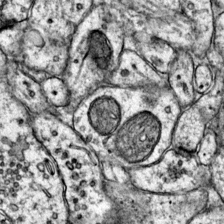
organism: Mouse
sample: Primary visual cortex